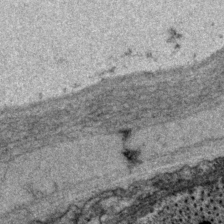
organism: P. pacificus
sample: Pharynx